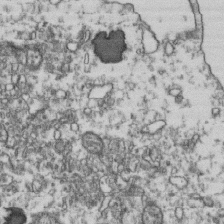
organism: Human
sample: Activated Jurkat CD4+ T cells